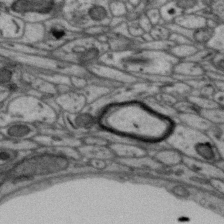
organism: Zebra finch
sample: Brain